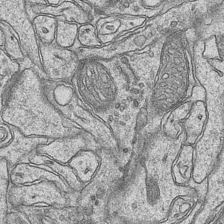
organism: Mouse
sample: CA1 Hippocampus